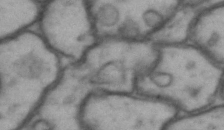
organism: Drosophila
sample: Brain